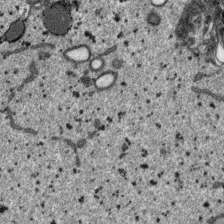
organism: Human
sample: Lung epithelial cells infected with SARS-CoV-2